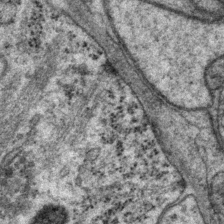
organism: P. pacificus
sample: Pharynx